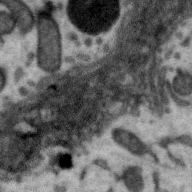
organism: Zebra finch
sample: Brain